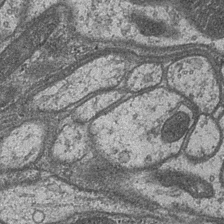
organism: Drosophila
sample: Optic medulla